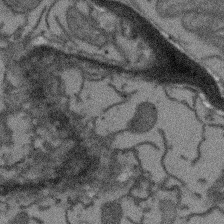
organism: Arabidopsis thaliana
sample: Root tip